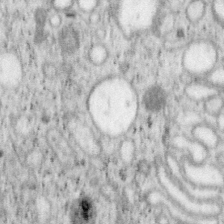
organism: Mouse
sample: OT-I killer T cells with ID8 ovarian cancer cells